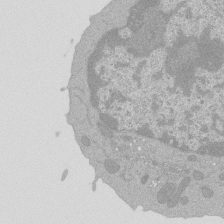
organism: Mouse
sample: Activated Pmel transgenic CD8+ T Cells